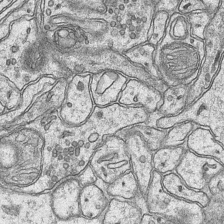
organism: Mouse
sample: CA1 Hippocampus